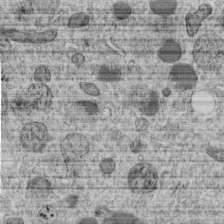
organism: C. elegans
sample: C. elegans embryo early stage